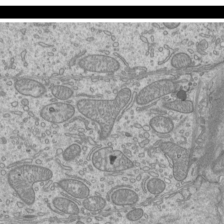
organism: Mouse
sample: Cilia; mouse epididymis